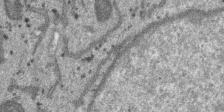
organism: Human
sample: Lung epithelial cells infected with SARS-CoV-2